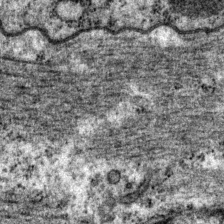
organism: P. pacificus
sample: Pharynx